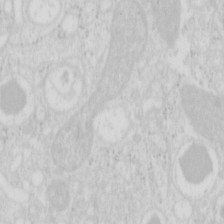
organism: Mouse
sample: Pancreas